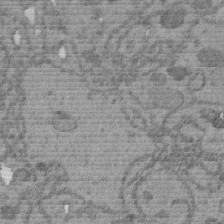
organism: C. elegans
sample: C. elegans embryo early stage